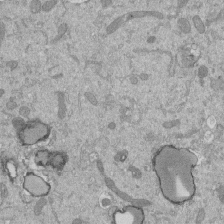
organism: Mouse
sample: ED-1 cell nuclei; centrioles